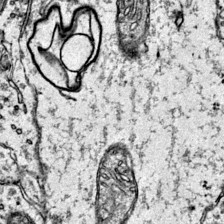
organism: Mouse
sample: Primary visual cortex